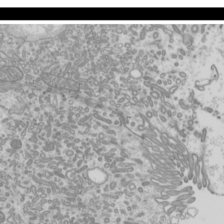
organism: Mouse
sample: Cilia; mouse epididymis